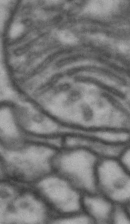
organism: Drosophila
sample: Brain